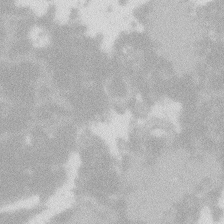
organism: Zebrafish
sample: Macrophage